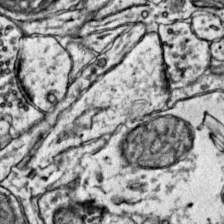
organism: Mouse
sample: Primary visual cortex